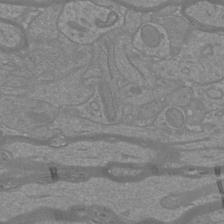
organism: Mouse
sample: Cortical neurons